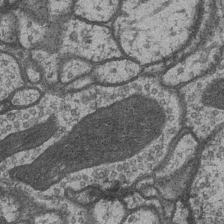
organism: Drosophila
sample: Optic medulla